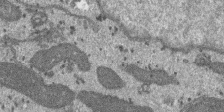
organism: Human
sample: Lung epithelial cells infected with SARS-CoV-2